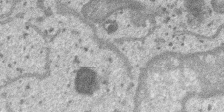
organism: Human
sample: Lung epithelial cells infected with SARS-CoV-2